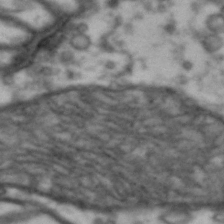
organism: Drosophila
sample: Brain